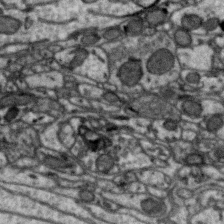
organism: Zebra finch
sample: Brain